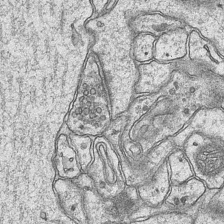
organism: Mouse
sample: CA1 Hippocampus